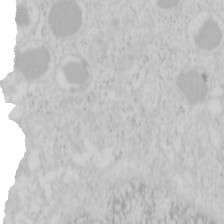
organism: Mouse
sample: Pancreas